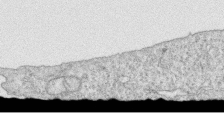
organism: Human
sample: HeLa cell HIV synapse